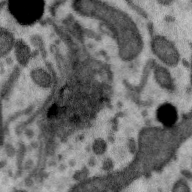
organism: Zebra finch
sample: Brain